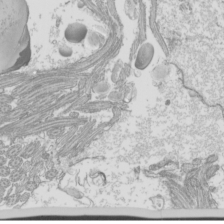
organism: Mouse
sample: Cilia; mouse epididymis